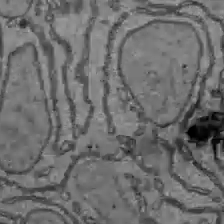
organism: C57BL Mouse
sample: Liver